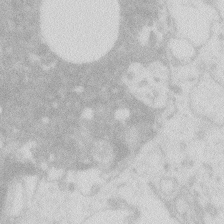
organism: Zebrafish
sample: Macrophage